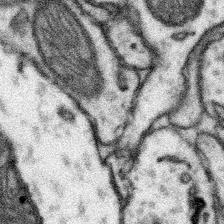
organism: Mouse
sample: Somatosensory cortex neuropil